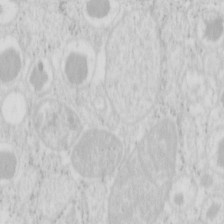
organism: Mouse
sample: Pancreas